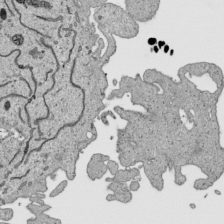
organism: Human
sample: Mitochondria in HCT116 cells